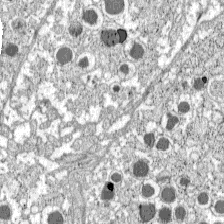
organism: C57BL Mouse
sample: Pancreatic islet